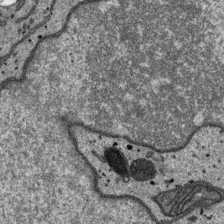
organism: Human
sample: Lung epithelial cells, uninfected (mock) control